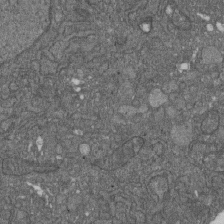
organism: Drosophila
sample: Nephrocyte